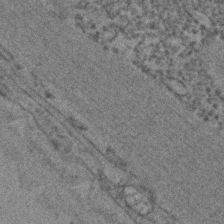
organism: C. elegans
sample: C. elegans embryo